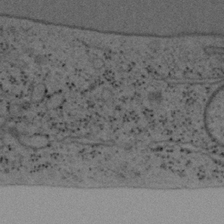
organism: Human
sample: HeLa cells